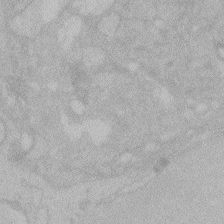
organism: Zebrafish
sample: Macrophage infected with Toxoplasma gondii